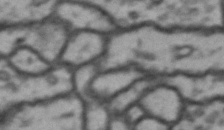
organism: Drosophila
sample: Brain